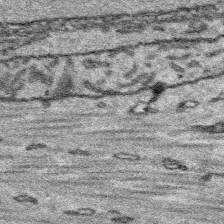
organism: Platynereis dumerilii